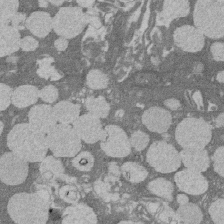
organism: Rat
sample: Salivary granule